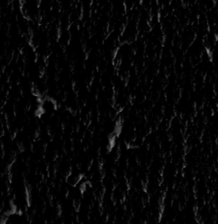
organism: Toxoplasma gondii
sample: Parasites in a vacuole inside a host cell